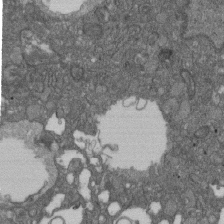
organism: Drosophila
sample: Nephrocyte